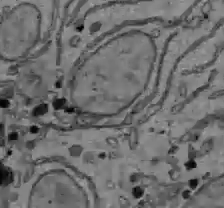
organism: C57BL Mouse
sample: Liver